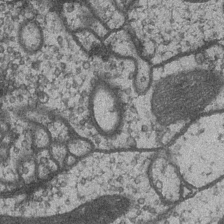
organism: Drosophila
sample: Optic medulla